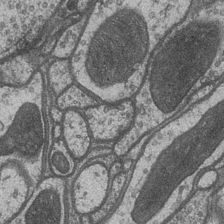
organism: Drosophila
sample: Optic medulla